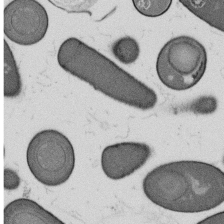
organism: B. subtilis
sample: Bacterial spore